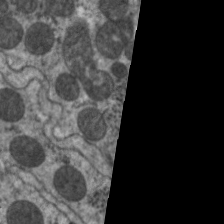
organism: C. elegans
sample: Pharynx